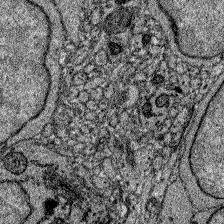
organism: Zebrafish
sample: Larval olfactory bulb